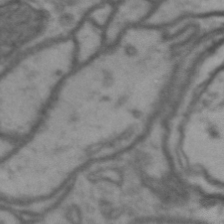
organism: Drosophila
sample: Brain